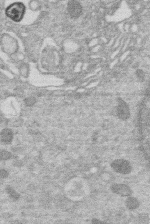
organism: Human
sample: Macrophage cells